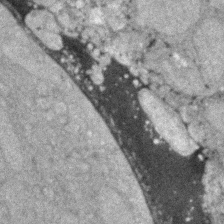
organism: Zebrafish